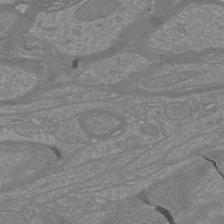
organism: Mouse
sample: Cortical neurons